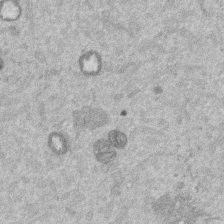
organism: Mouse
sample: Dividing mouse embryo 1 cell stage